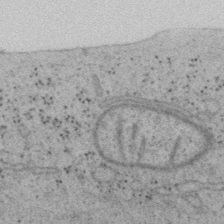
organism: Human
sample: HeLa cells